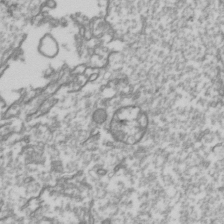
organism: Drosophila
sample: Cell division; meiosis; drosophila spermatocytes